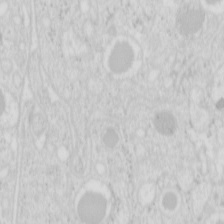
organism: Mouse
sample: Pancreas